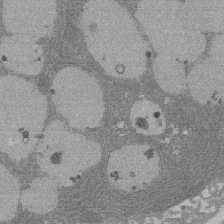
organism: Rat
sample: Salivary granule